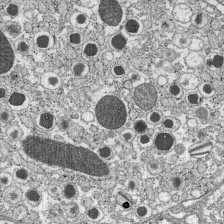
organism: C57BL Mouse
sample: Pancreatic islet